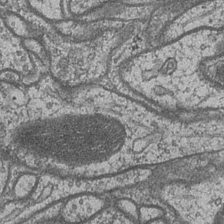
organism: Drosophila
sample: Optic medulla